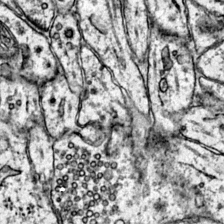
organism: Mouse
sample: Primary visual cortex